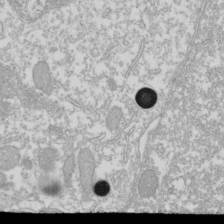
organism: Xenopus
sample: Cilia; centrioles in frog embryo cells